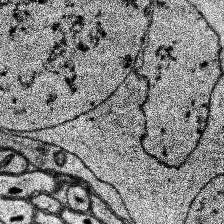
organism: Human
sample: Temporal Lobe